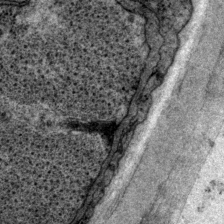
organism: P. pacificus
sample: Pharynx